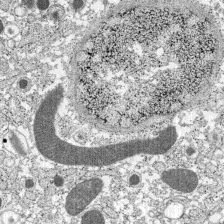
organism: C57BL Mouse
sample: Pancreatic islet